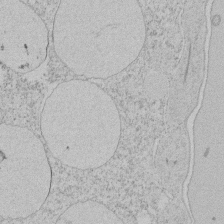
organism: Tetrahymena